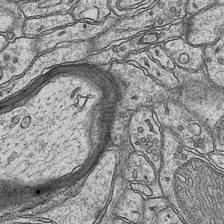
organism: Mouse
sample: CA1 Hippocampus